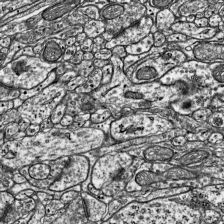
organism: Mouse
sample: Visual Cortex